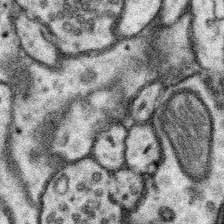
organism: Mouse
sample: Somatosensory cortex neuropil